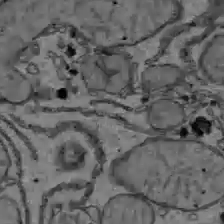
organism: C57BL Mouse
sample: Liver